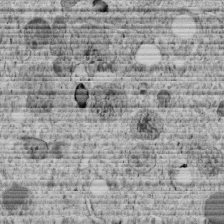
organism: C. elegans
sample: C. elegans embryo early stage